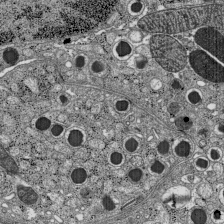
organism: C57BL Mouse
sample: Pancreatic islet